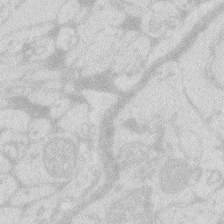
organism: Zebrafish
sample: Macrophage